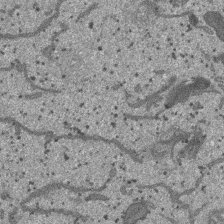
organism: Human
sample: Lung epithelial cells infected with SARS-CoV-2